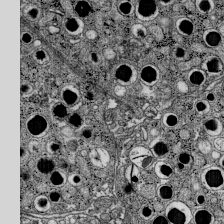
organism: C57BL Mouse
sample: Pancreatic islet